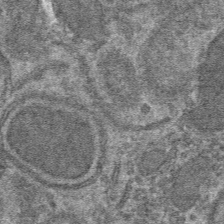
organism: Mouse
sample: Mouse hepatocytes